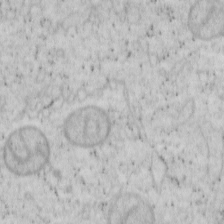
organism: Human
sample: HeLa cells